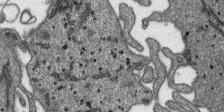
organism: Human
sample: Lung epithelial cells infected with SARS-CoV-2